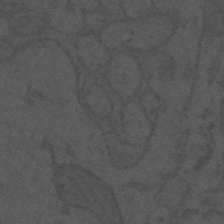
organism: Mouse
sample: Suprachiasmatic nucleus